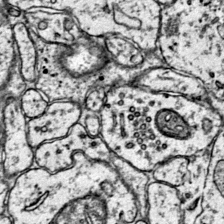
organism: Mouse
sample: Primary visual cortex